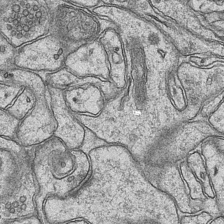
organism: Mouse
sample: CA1 Hippocampus